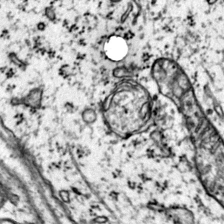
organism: Mouse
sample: Primary visual cortex